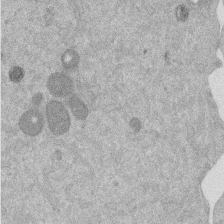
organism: Mouse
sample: Dividing mouse embryo 1 cell stage